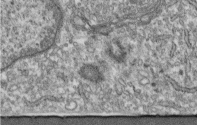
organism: Human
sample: Centriole in fibroblast cells